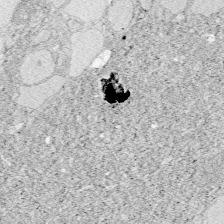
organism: Zebrafish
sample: Whole-Brain